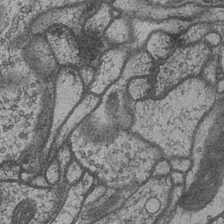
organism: Drosophila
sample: Optic medulla